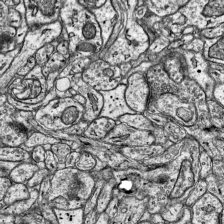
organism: Mouse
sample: Visual Cortex